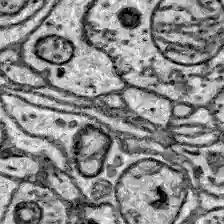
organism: Zebrafish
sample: Brain